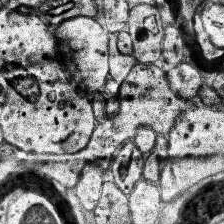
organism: Human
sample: Temporal Lobe